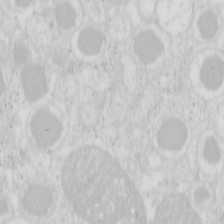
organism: Mouse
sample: Pancreas